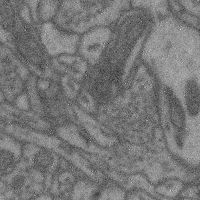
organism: Mouse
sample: Cerebral cortex